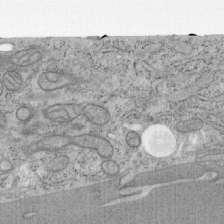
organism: Human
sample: HeLa cells